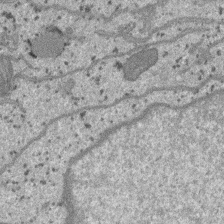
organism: Human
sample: Lung epithelial cells infected with SARS-CoV-2